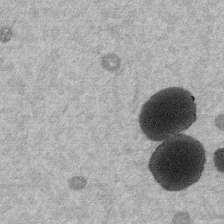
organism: Mouse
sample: Dividing mouse embryo 1 cell stage